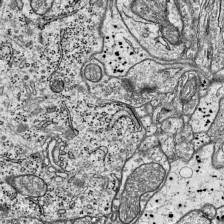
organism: Mouse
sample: Visual Cortex